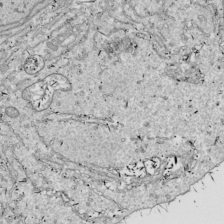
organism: Drosophila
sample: Cell division; meiosis; drosophila spermatocytes